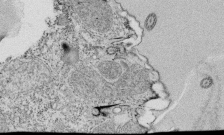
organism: Tetrahymena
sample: Cilia in tetrahymena